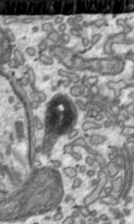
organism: Toxoplasma gondii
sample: Parasites in a vacuole inside a host cell